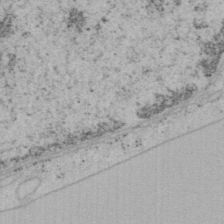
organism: Human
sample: HeLa cells